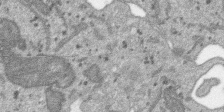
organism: Human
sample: Lung epithelial cells infected with SARS-CoV-2